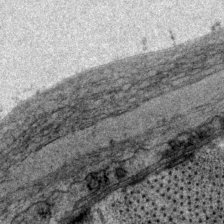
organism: P. pacificus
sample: Pharynx